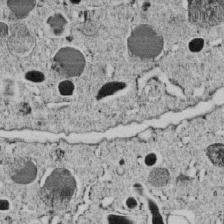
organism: C. elegans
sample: C. elegans embryo early stage